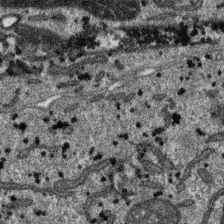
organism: Human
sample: Lung epithelial cells infected with SARS-CoV-2